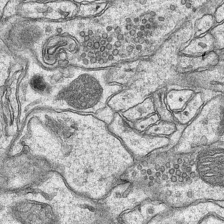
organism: Mouse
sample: CA1 Hippocampus